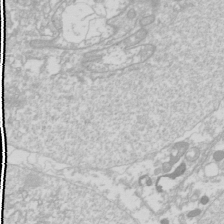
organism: Drosophila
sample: Cell division; meiosis; drosophila spermatocytes